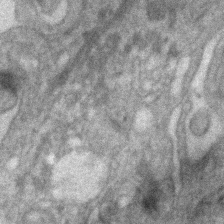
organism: Human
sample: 1205lu cells